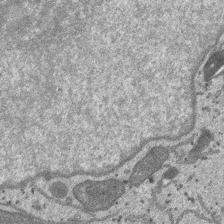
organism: Human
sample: Lung epithelial cells infected with SARS-CoV-2